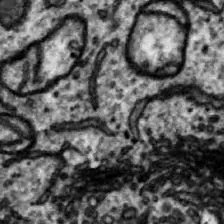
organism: Human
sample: HeLa cells